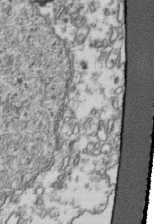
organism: Human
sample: Activated Jurkat CD4+ T cells